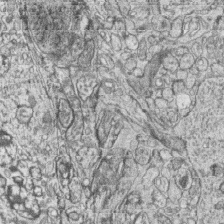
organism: Zebrafish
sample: synaptic ribbons in rod cells and cone cells